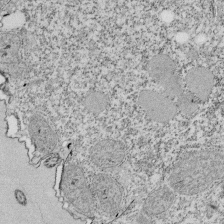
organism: Tetrahymena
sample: Cilia in tetrahymena